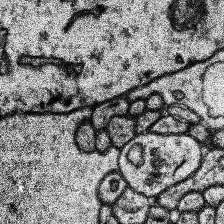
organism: Human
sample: Temporal Lobe